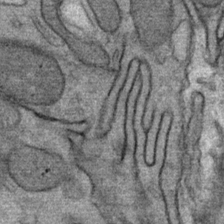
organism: Mouse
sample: Mouse Salivary gland